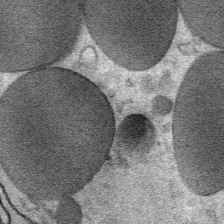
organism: Mouse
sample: Mouse Salivary gland